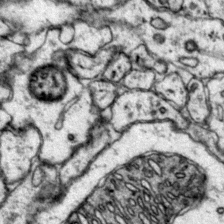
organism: Mouse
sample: Primary visual cortex